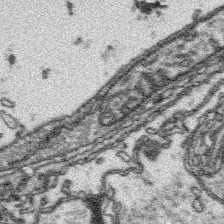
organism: Platynereis dumerilii